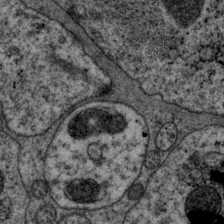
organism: P. pacificus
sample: Pharynx